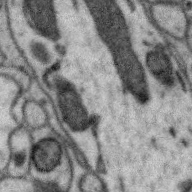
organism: Zebra finch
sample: Brain